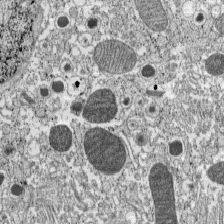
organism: C57BL Mouse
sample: Pancreatic islet